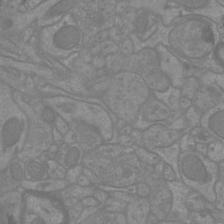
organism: Mouse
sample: Cortical neurons